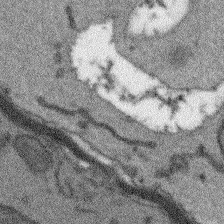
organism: Arabidopsis thaliana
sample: Root tip